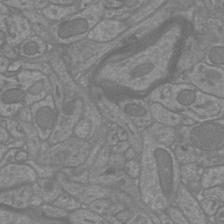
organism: Mouse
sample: Cortical neurons